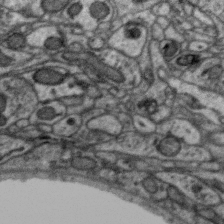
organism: Zebra finch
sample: Brain